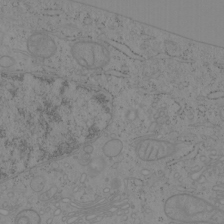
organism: Human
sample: HeLa cells